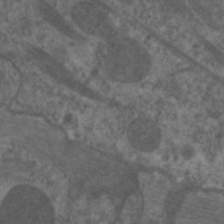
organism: C. elegans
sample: Pharynx